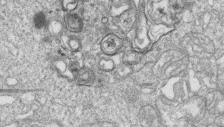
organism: Human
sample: HeLa cell HIV synapse